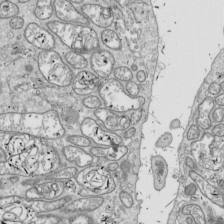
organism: Drosophila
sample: Cell division; meiosis; drosophila spermatocytes